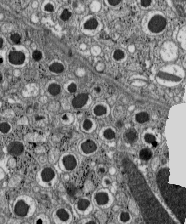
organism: C57BL Mouse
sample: Pancreatic islet